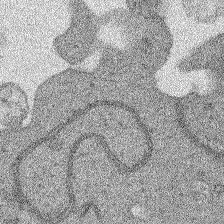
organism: Human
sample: HeLa cells